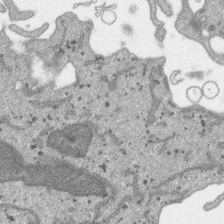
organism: Human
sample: Lung epithelial cells infected with SARS-CoV-2